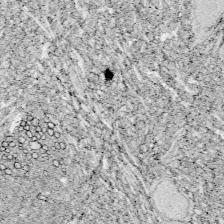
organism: Zebrafish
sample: Whole-Brain